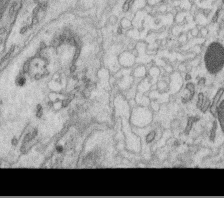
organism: C. elegans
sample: C. elegans oocyte; sperm cells